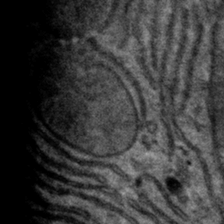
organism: Mouse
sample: Mouse hepatocytes